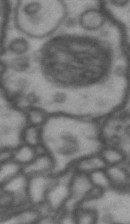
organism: Drosophila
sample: Brain